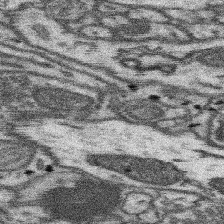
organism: Mouse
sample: Somatosensory cortex neuropil